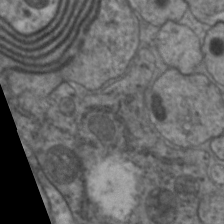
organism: C. elegans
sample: Pharynx